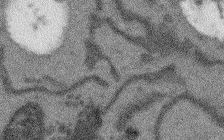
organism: Arabidopsis thaliana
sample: Root tip